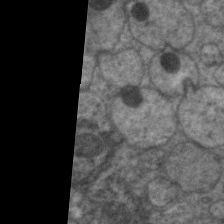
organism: C. elegans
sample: Pharynx